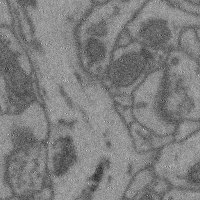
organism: Mouse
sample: Cerebral cortex